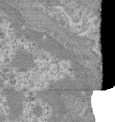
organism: Mouse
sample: Glomerulus